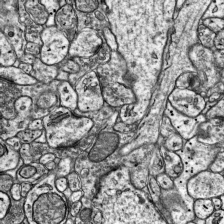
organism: Mouse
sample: Visual Cortex